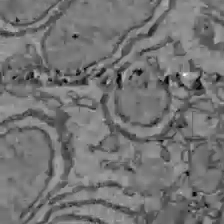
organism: C57BL Mouse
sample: Liver